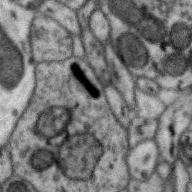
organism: Zebra finch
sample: Brain